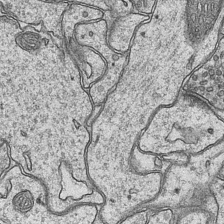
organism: Mouse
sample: CA1 Hippocampus